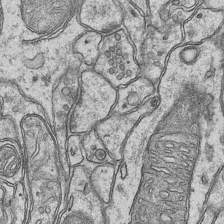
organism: Mouse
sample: CA1 Hippocampus